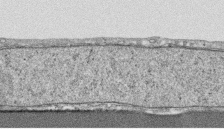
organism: Human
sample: CRL-1474